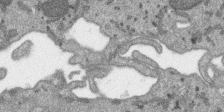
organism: Human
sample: Lung epithelial cells infected with SARS-CoV-2